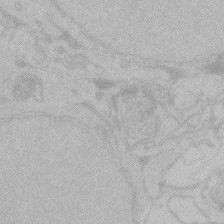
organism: Zebrafish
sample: Macrophage infected with Toxoplasma gondii